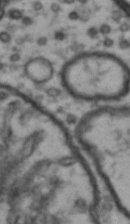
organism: Drosophila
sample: Brain